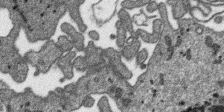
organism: Human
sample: Lung epithelial cells infected with SARS-CoV-2